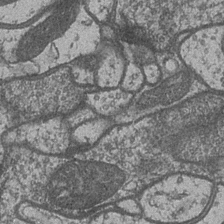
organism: Drosophila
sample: Optic medulla